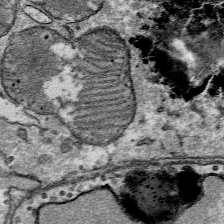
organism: Mouse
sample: Mouse Salivary gland